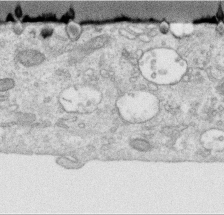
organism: Human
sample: Centriole in RPE cells